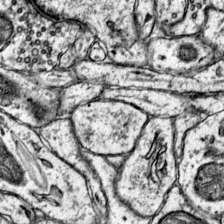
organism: Mouse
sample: Primary visual cortex